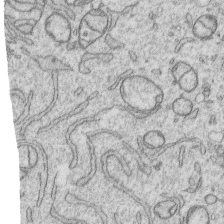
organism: Human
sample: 1205lu cells